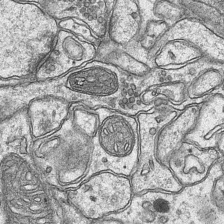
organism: Mouse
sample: CA1 Hippocampus